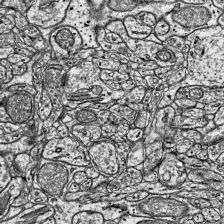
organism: Mouse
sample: Visual Cortex